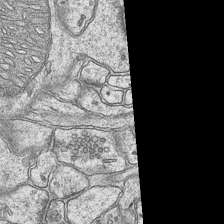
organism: Mouse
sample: CA1 Hippocampus